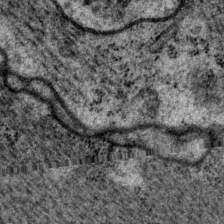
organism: P. pacificus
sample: Pharynx